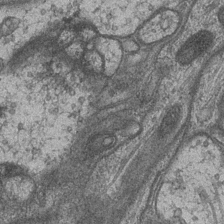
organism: Drosophila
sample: Optic medulla